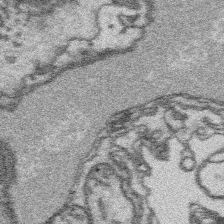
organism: Platynereis dumerilii